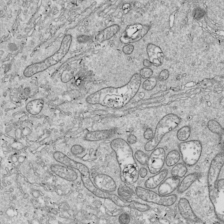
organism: Drosophila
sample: Cell division; meiosis; drosophila spermatocytes